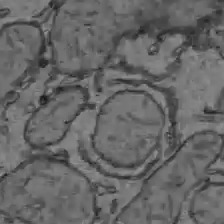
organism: C57BL Mouse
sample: Liver